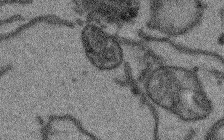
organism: Arabidopsis thaliana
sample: Root tip